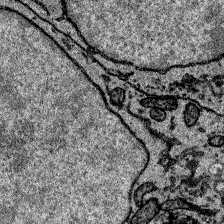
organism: Zebrafish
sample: Larval olfactory bulb